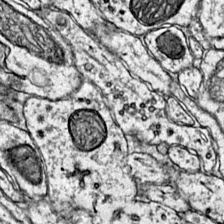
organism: Mouse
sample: Primary visual cortex